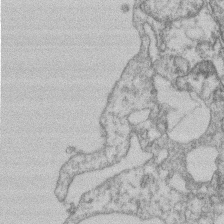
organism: Mouse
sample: T cell stromal cell synapse